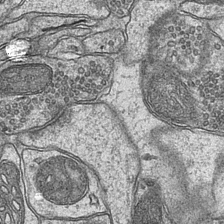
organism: Mouse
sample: CA1 Hippocampus